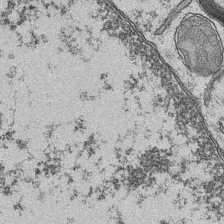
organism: Mouse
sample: CA1 Hippocampus